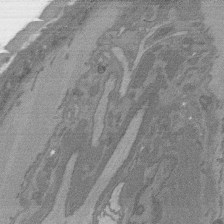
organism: C. elegans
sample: AFD neurons C. elegans